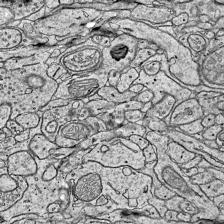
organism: Mouse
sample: Visual Cortex